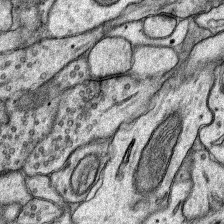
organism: Rat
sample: Hippocampus